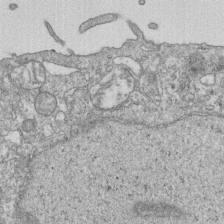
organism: Human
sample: HeLa cell HIV synapse